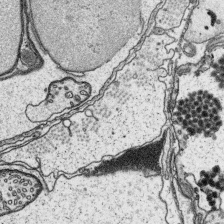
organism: Platynereis dumerilii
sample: Parapodia